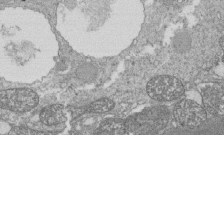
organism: Tetrahymena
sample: Cilia in tetrahymena